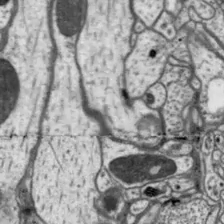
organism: Drosophila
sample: Protocerebral bridge